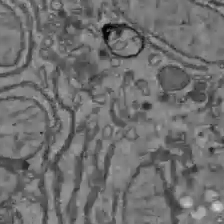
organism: C57BL Mouse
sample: Liver